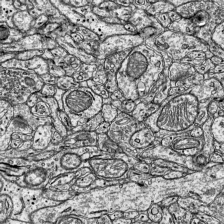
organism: Mouse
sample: Visual Cortex